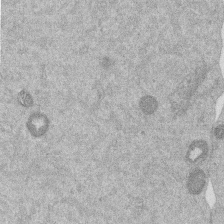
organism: Mouse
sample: Dividing mouse embryo 1 cell stage